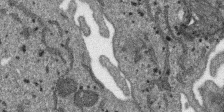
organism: Human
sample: Lung epithelial cells infected with SARS-CoV-2